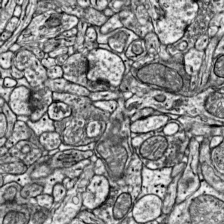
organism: Mouse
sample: Visual Cortex